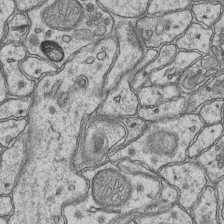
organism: Mouse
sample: CA1 Hippocampus